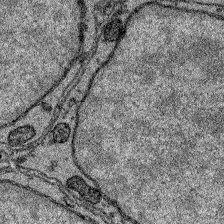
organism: Zebrafish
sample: Larval olfactory bulb